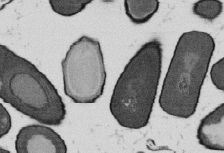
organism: B. subtilis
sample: Bacterial spore